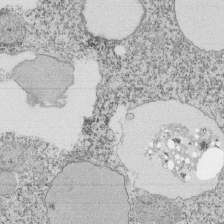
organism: Tetrahymena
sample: Cilia in tetrahymena